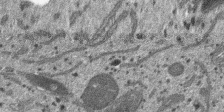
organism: Human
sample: Lung epithelial cells infected with SARS-CoV-2